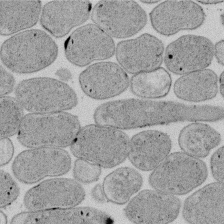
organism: E. coli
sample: Bacterial nucleoid